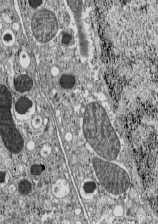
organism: C57BL Mouse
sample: Pancreatic islet